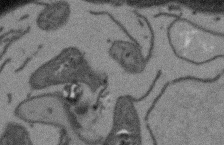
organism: Arabidopsis thaliana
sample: Root tip